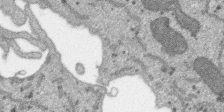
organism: Human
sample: Lung epithelial cells infected with SARS-CoV-2